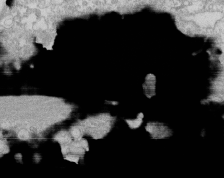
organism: Human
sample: CRL-1474